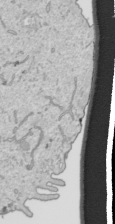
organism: Human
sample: Mitochondria in HCT116 cells